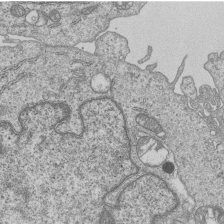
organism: Human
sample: MDA-MB-231 cells